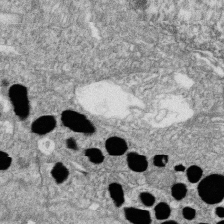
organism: Zebrafish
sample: Cilia; retinal pigment epithelium